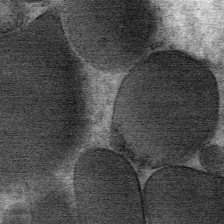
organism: Mouse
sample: Mouse Salivary gland